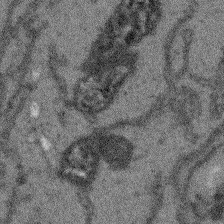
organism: Arabidopsis thaliana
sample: Root tip